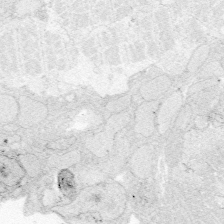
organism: Zebrafish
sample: Whole-Brain